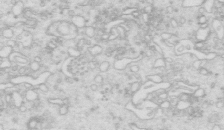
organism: Mouse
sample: Multiciliated cells